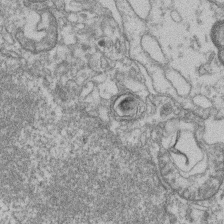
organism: Mouse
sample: T cell stromal cell synapse